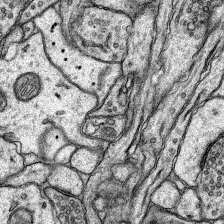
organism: Rat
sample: Hippocampus